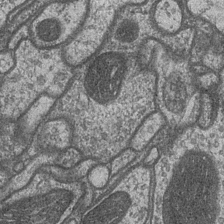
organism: Drosophila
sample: Optic medulla